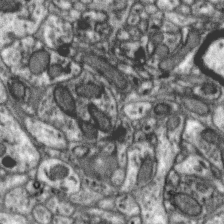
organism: Zebra finch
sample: Brain